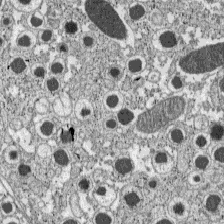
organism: C57BL Mouse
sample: Pancreatic islet